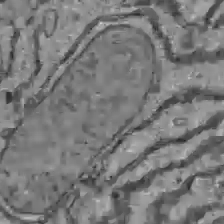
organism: C57BL Mouse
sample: Liver